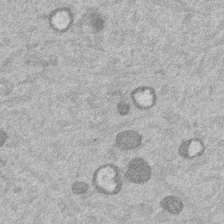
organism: Mouse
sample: Dividing mouse embryo 1 cell stage